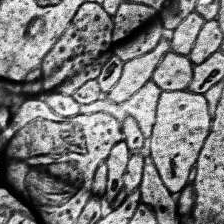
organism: Human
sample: Temporal Lobe